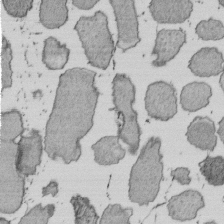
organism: E. coli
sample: Bacterial nucleoid